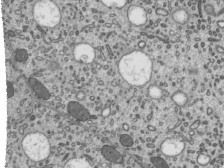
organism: Mouse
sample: Mouse epididymis efferent ductule cilia